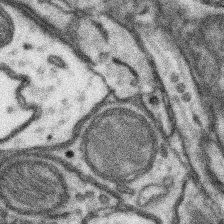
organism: Mouse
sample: Somatosensory cortex neuropil